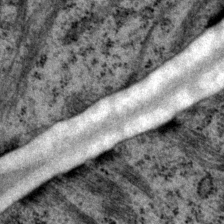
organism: P. pacificus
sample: Pharynx